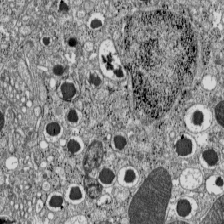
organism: C57BL Mouse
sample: Pancreatic islet